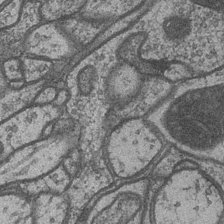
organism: Drosophila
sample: Optic medulla